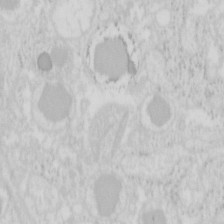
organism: Mouse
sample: Pancreas